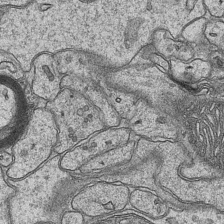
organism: Mouse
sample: CA1 Hippocampus